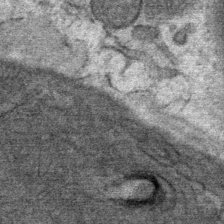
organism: Mouse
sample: Mouse Salivary gland